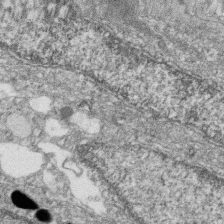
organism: Zebrafish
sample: Cilia; retinal pigment epithelium